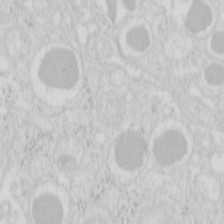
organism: Mouse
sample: Pancreas